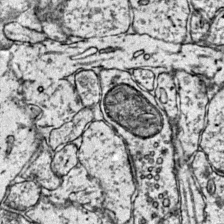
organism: Mouse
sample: Primary visual cortex